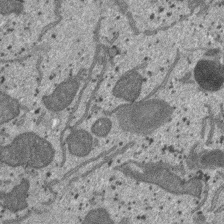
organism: Human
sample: Lung epithelial cells infected with SARS-CoV-2